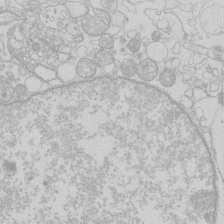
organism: Human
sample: Macrophage cells